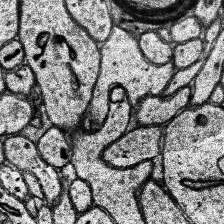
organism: Human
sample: Temporal Lobe